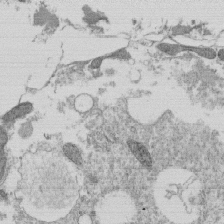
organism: Tetrahymena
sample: Cilia in tetrahymena